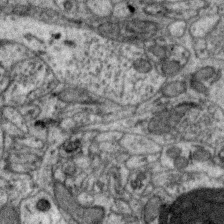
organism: Zebra finch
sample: Brain